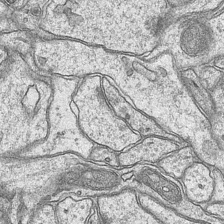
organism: Mouse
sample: CA1 Hippocampus